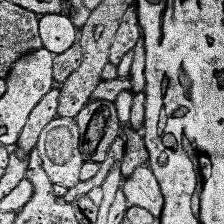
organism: Human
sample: Temporal Lobe